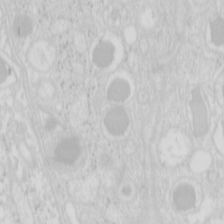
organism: Mouse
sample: Pancreas